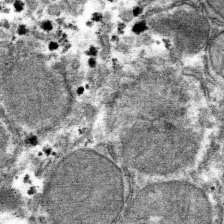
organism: Mouse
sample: Mouse hepatocytes